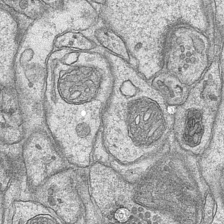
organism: Mouse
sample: CA1 Hippocampus